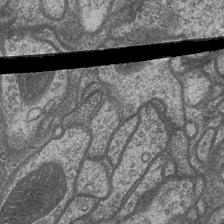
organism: Drosophila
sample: Optic medulla